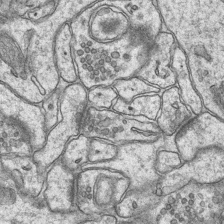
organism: Mouse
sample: CA1 Hippocampus